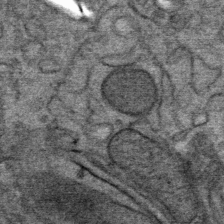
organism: Mouse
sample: Mouse Salivary gland